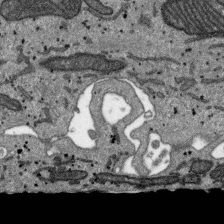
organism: Human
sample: Lung epithelial cells, uninfected (mock) control